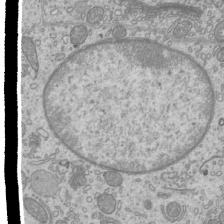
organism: Mouse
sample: Cilia; mouse epididymis